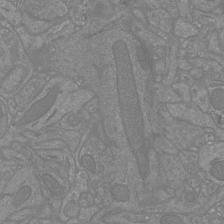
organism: Mouse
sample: Cortical neurons